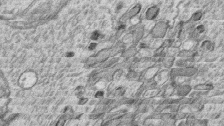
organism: Zebrafish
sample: synaptic ribbons in rod cells and cone cells